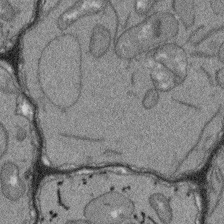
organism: Arabidopsis thaliana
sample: Root tip